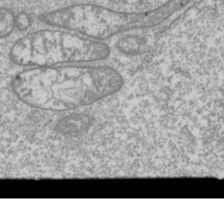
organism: Drosophila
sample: Cell division; meiosis; drosophila spermatocytes